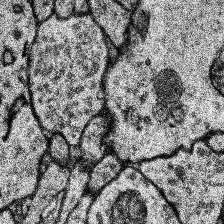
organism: Human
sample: Temporal Lobe